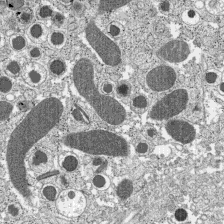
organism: C57BL Mouse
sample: Pancreatic islet